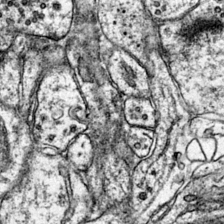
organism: Mouse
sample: Primary visual cortex